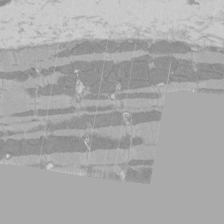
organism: Rat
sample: Left ventricle